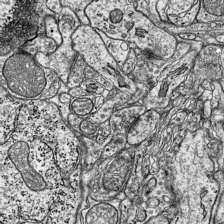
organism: Mouse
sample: Visual Cortex